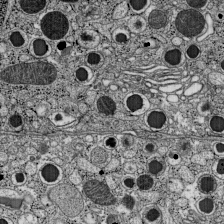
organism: C57BL Mouse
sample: Pancreatic islet